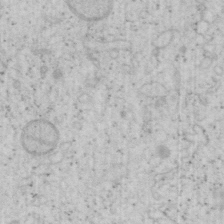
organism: Human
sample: HeLa cells